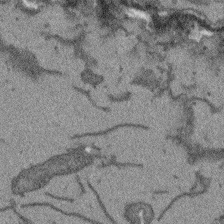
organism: Arabidopsis thaliana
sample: Root tip